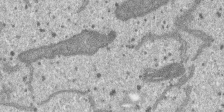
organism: Human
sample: Lung epithelial cells infected with SARS-CoV-2